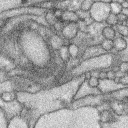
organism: Rabbit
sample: Retina